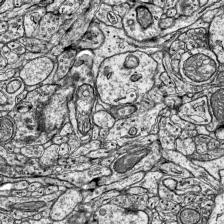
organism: Mouse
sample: Visual Cortex